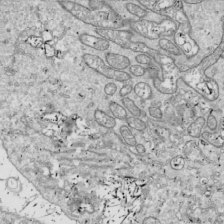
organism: Drosophila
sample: Cell division; meiosis; drosophila spermatocytes